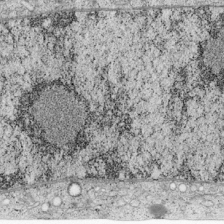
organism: African green monkey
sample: COS-7 cells